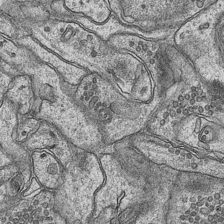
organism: Mouse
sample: CA1 Hippocampus